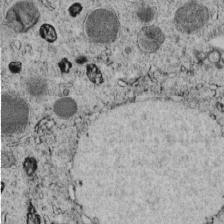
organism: C. elegans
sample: C. elegans embryo early stage